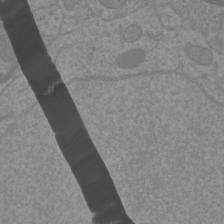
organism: Mouse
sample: Cortical neurons